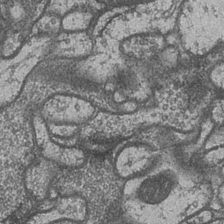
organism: Drosophila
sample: Optic medulla